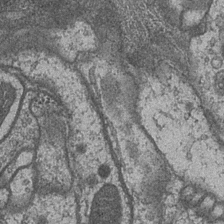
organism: Drosophila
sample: Optic medulla